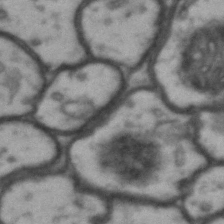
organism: Drosophila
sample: Brain